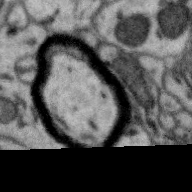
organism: Zebra finch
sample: Brain